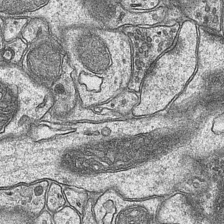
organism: Mouse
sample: CA1 Hippocampus